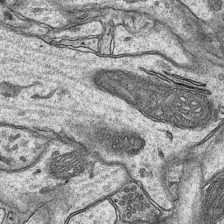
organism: Mouse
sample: CA1 Hippocampus